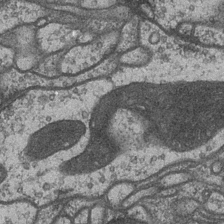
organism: Drosophila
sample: Optic medulla